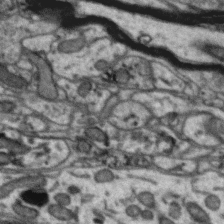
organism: Zebra finch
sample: Brain